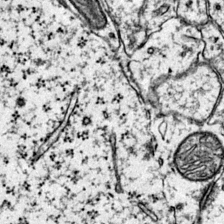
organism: Mouse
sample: Primary visual cortex